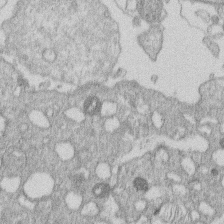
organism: Human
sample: Macrophage cells